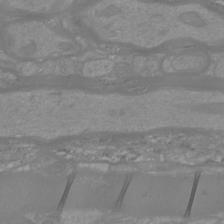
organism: Mouse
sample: Cortical neurons